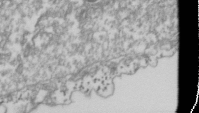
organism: Drosophila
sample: Cell division; meiosis; drosophila spermatocytes